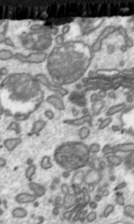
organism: Toxoplasma gondii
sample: Parasites in a vacuole inside a host cell